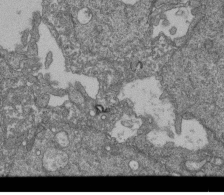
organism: Human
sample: Retinal organoid Rod and Cone cells